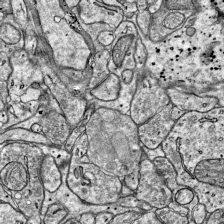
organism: Mouse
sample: Visual Cortex